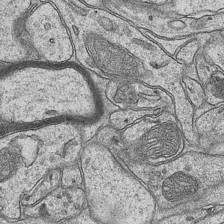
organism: Mouse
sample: CA1 Hippocampus